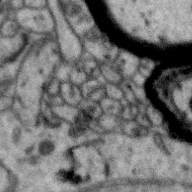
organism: Zebra finch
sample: Brain